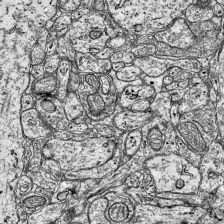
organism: Mouse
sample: Visual Cortex